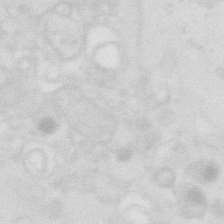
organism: Human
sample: HeLa cells